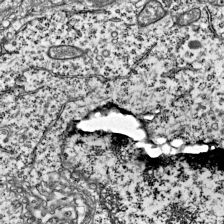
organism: Mouse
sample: Visual Cortex